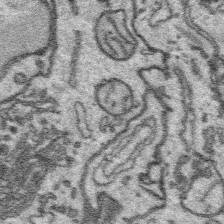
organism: Platynereis dumerilii